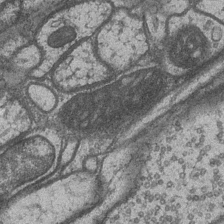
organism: Drosophila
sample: Optic medulla